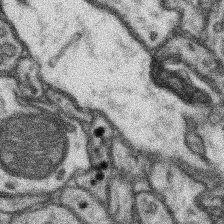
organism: Mouse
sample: Somatosensory cortex neuropil